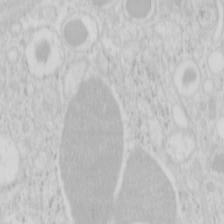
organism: Mouse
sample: Pancreas